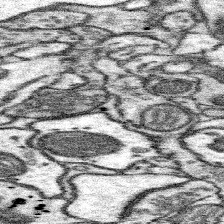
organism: Mouse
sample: Somatosensory cortex neuropil